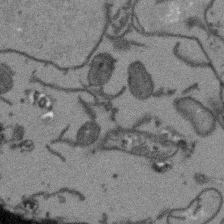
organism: Arabidopsis thaliana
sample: Root tip